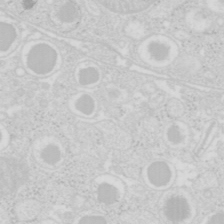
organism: Mouse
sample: Pancreas